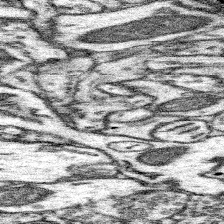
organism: Mouse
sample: Somatosensory cortex neuropil